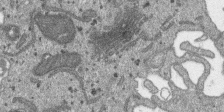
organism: Human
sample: Lung epithelial cells infected with SARS-CoV-2